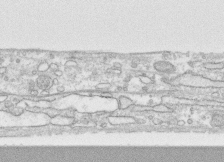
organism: Human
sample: CRL-1474